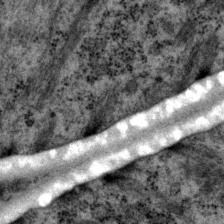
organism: P. pacificus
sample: Pharynx